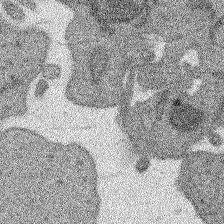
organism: Human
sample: HeLa cells